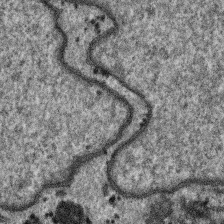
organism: Human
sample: Lung epithelial cells infected with SARS-CoV-2